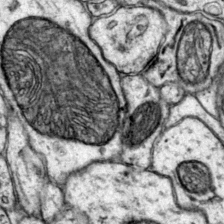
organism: Mouse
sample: Primary visual cortex